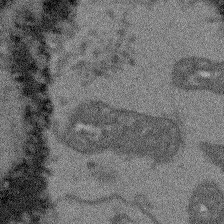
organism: Arabidopsis thaliana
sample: Root tip